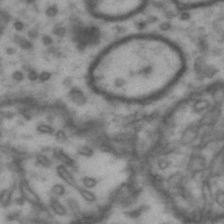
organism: Drosophila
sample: Brain